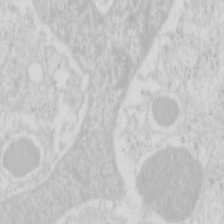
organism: Mouse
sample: Pancreas